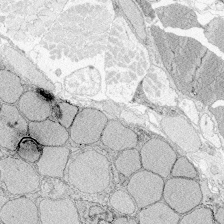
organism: Zebrafish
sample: Whole-Brain